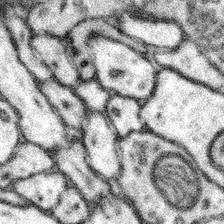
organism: Mouse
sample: Somatosensory cortex neuropil